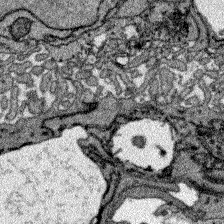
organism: Zebrafish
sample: Larval olfactory bulb